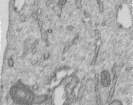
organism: Human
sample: Centriole in RPE cells